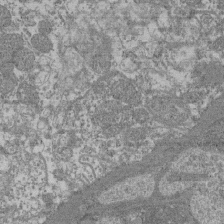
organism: Mouse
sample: Glomerulus